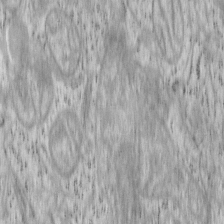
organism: Human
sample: HeLa cells